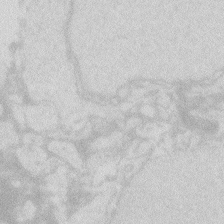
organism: Zebrafish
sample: Macrophage